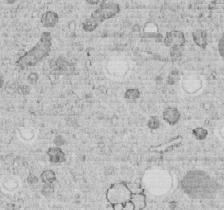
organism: C. elegans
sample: C. elegans embryo early stage